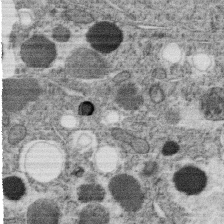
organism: C. elegans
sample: C. elegans oocyte; sperm cells